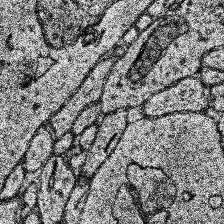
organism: Human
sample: Temporal Lobe